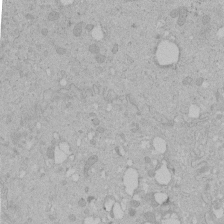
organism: Human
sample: Melanocyte Keratinocyte synapse skin construct